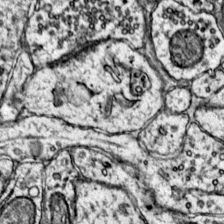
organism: Mouse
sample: Primary visual cortex